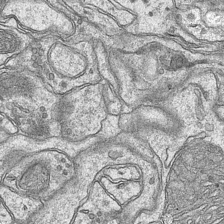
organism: Mouse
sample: CA1 Hippocampus